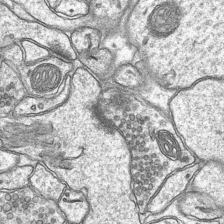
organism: Mouse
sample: CA1 Hippocampus